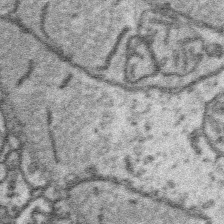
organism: Platynereis dumerilii